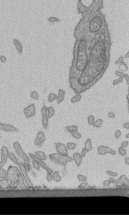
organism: Human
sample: Retinal organoid Rod and Cone cells